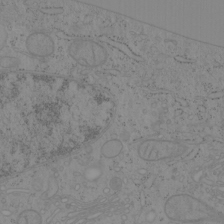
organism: Human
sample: HeLa cells